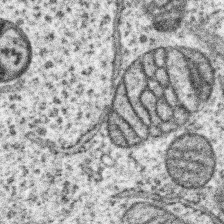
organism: Human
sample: HeLa cells